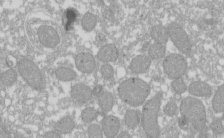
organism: Xenopus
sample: Cilia; centrioles in frog embryo cells